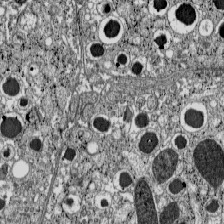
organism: C57BL Mouse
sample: Pancreatic islet